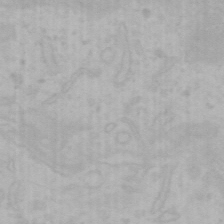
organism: Mouse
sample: Choroid plexus